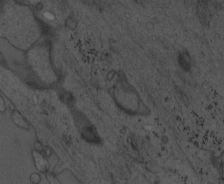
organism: Mouse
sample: OT-I killer T cells with ID8 ovarian cancer cells